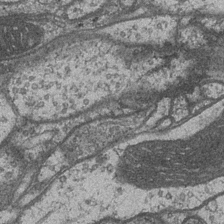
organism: Drosophila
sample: Optic medulla